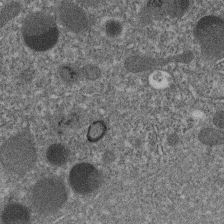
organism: C. elegans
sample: C. elegans embryo early stage